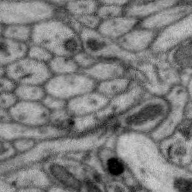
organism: Zebra finch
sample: Brain